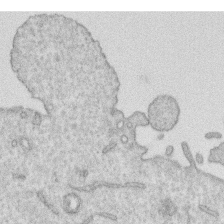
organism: Human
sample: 1205lu cells